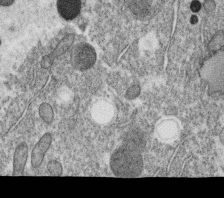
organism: C. elegans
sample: C. elegans oocyte; sperm cells